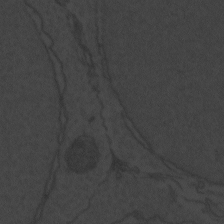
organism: Zebrafish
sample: Macrophage infected with Toxoplasma gondii